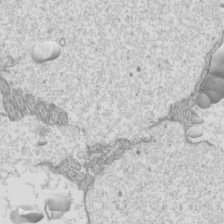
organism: Mouse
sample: Cilia; mouse epididymis